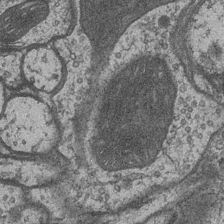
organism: Drosophila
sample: Optic medulla